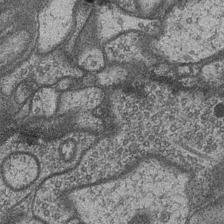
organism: Drosophila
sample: Optic medulla